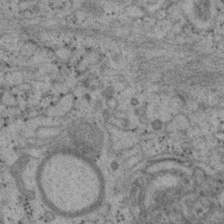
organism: Human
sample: HeLa cells